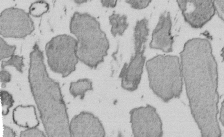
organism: E. coli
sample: Bacterial nucleoid